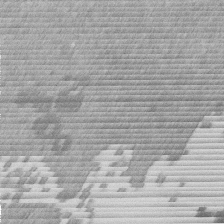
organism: Mouse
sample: Dividing mouse embryo 1 cell stage